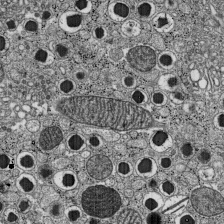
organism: C57BL Mouse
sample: Pancreatic islet